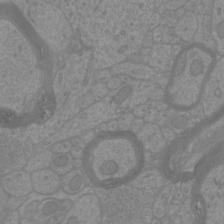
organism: Mouse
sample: Cortical neurons